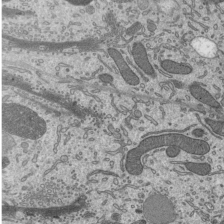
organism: Mouse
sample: Mouse epididymis efferent ductule cilia